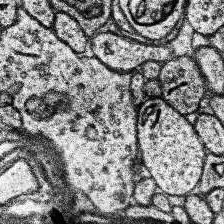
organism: Human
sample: Temporal Lobe